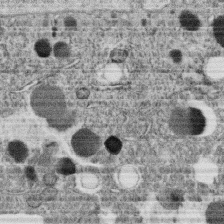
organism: C. elegans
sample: C. elegans oocyte; sperm cells